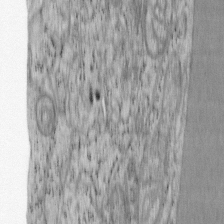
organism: Human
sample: HeLa cells